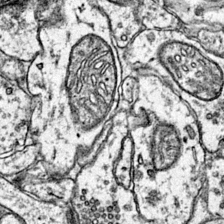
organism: Mouse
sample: Primary visual cortex